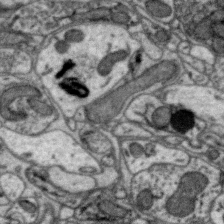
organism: Zebra finch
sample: Brain